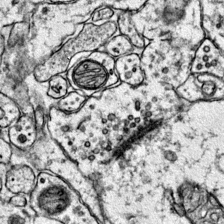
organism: Mouse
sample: Primary visual cortex